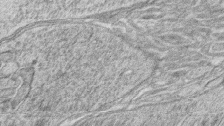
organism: Zebrafish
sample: synaptic ribbons in rod cells and cone cells